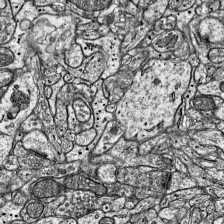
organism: Mouse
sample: Visual Cortex